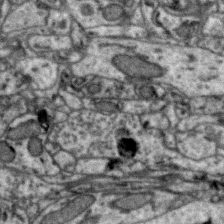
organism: Zebra finch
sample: Brain